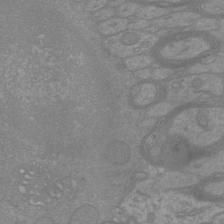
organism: Mouse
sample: Cortical neurons